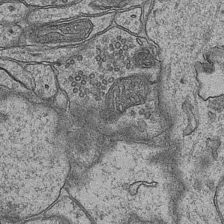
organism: Mouse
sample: CA1 Hippocampus